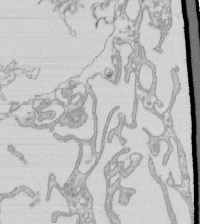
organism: Mouse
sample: Macrophages